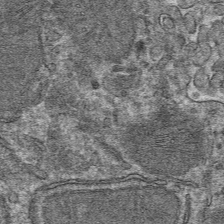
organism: Mouse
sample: Mouse hepatocytes